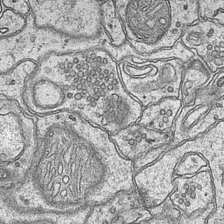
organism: Mouse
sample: CA1 Hippocampus